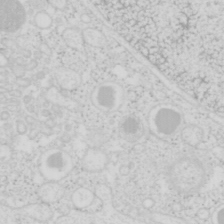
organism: Mouse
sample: Pancreas